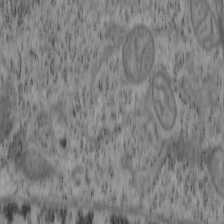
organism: Human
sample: HeLa cells